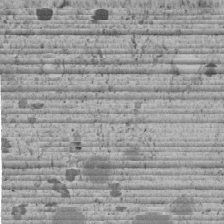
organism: C. elegans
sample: C. elegans embryo early stage